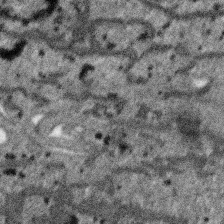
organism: Human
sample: Lung epithelial cells infected with SARS-CoV-2